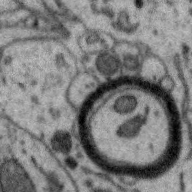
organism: Zebra finch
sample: Brain